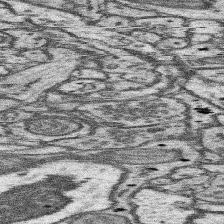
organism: Mouse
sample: Somatosensory cortex neuropil